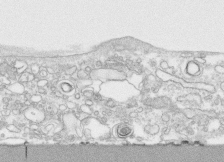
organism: Human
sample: CRL-1474